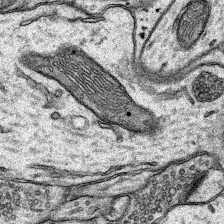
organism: Rat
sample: Hippocampus